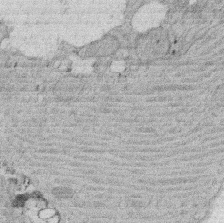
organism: Rat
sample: Salivary granule